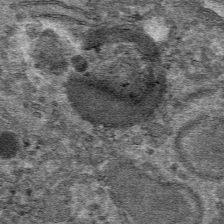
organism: Mouse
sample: Mouse hepatocytes